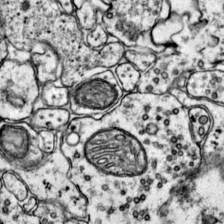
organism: Mouse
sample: Primary visual cortex